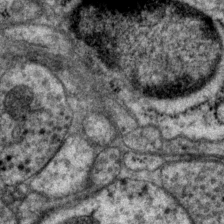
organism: P. pacificus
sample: Pharynx